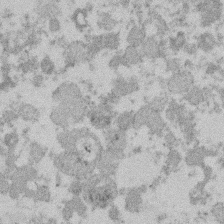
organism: Mouse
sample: Dividing mouse embryo 1 cell stage